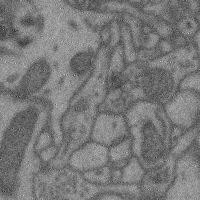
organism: Mouse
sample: Cerebral cortex